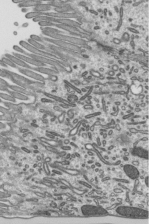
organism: Mouse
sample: Mouse epididymis efferent ductule cilia